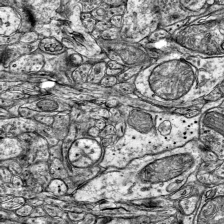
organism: Mouse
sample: Visual Cortex